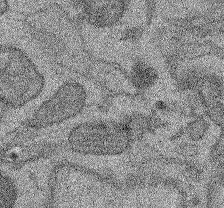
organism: Human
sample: HeLa cells